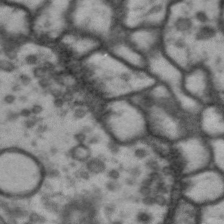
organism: Drosophila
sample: Brain